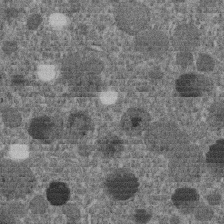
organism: C. elegans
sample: C. elegans embryo early stage